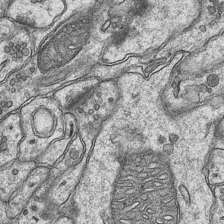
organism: Mouse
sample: CA1 Hippocampus